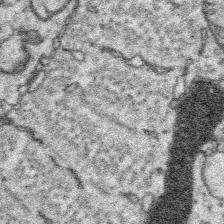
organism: Platynereis dumerilii